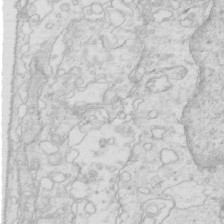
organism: Mouse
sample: Multiciliated cells